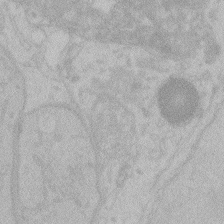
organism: Zebrafish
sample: Macrophage infected with Toxoplasma gondii